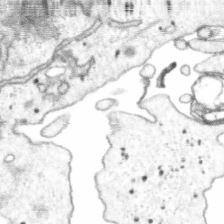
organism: Human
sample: HeLa cells